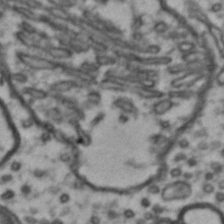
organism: Drosophila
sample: Brain